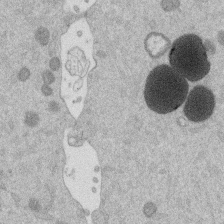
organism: Mouse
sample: Dividing mouse embryo 1 cell stage